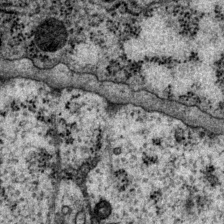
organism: P. pacificus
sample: Pharynx